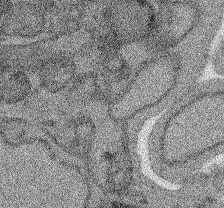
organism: Human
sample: HeLa cells